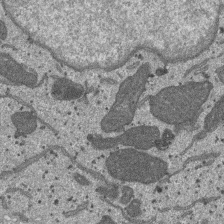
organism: Human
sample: Lung epithelial cells infected with SARS-CoV-2